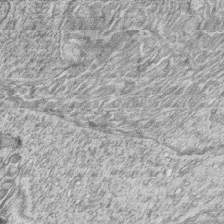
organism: Zebrafish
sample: synaptic ribbons in rod cells and cone cells